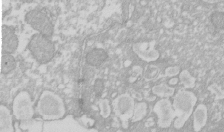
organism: Xenopus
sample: Cilia; centrioles in frog embryo cells